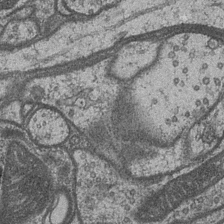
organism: Drosophila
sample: Optic medulla